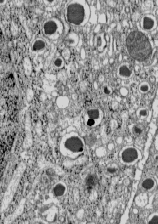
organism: C57BL Mouse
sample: Pancreatic islet